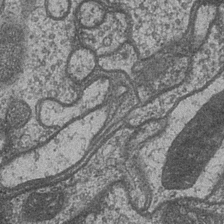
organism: Drosophila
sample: Optic medulla